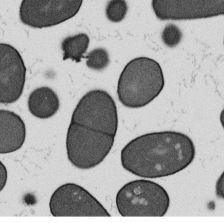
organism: B. subtilis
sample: Bacterial spore